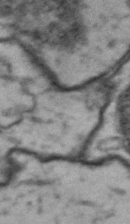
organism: Drosophila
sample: Brain